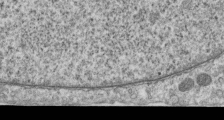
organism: Human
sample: Centriole in RPE cells